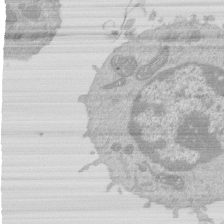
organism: Mouse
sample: Activated Pmel transgenic CD8+ T Cells